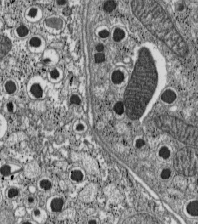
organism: C57BL Mouse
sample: Pancreatic islet